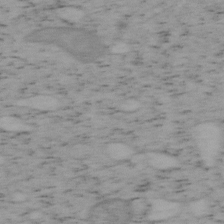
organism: Mouse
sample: OT-I killer T cells with ID8 ovarian cancer cells